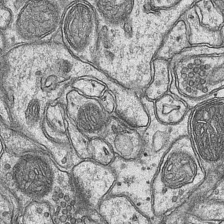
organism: Mouse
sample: CA1 Hippocampus